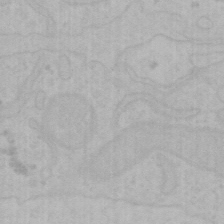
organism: Mouse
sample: Choroid plexus